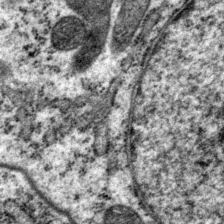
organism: P. pacificus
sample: Pharynx